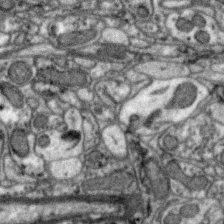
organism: Zebra finch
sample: Brain